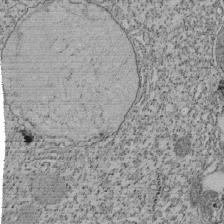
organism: Tetrahymena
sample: Cilia in tetrahymena